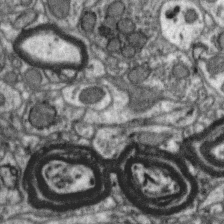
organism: Zebra finch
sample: Brain